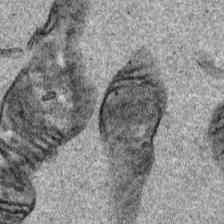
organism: Human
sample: Mitochondria in HCT116 cells